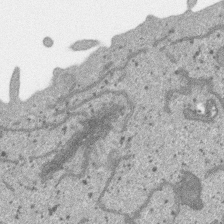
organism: Human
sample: Lung epithelial cells infected with SARS-CoV-2